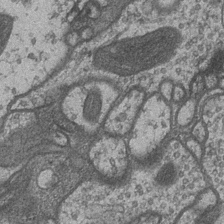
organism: Drosophila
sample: Optic medulla